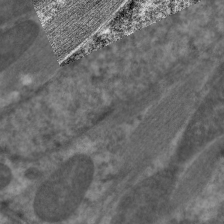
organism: C. elegans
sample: Pharynx